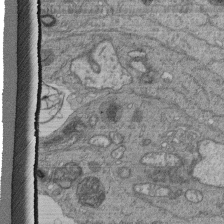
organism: Human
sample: Retinal organoid Rod and Cone cells